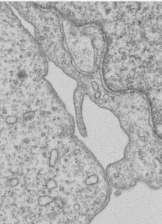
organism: Human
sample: MDA-MB-231 cells